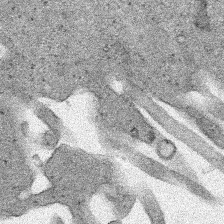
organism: Human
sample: Mitochondria in HCT116 cells